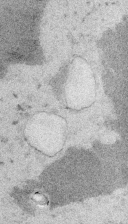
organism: Embia sp.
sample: Silk gland